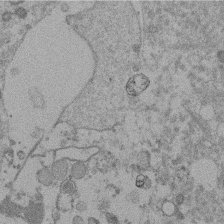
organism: Mouse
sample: Dividing mouse embryo 1 cell stage